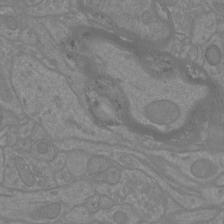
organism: Mouse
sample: Cortical neurons